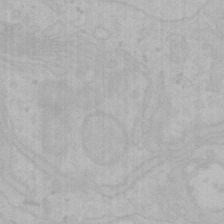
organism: Mouse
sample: Choroid plexus